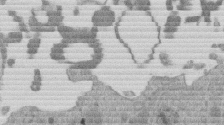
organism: Mouse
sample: Dividing mouse embryo 1 cell stage